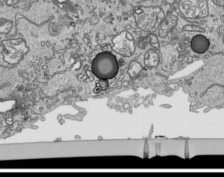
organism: Human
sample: Mitochondria in HCT116 cells